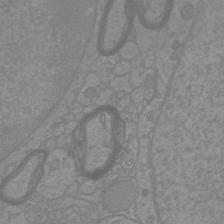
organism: Mouse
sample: Cortical neurons